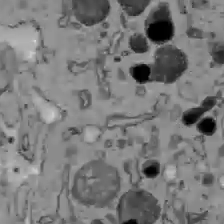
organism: C57BL Mouse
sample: Liver